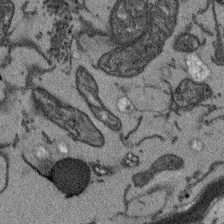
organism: Arabidopsis thaliana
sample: Root tip